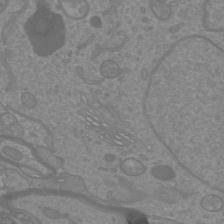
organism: Mouse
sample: Cortical neurons